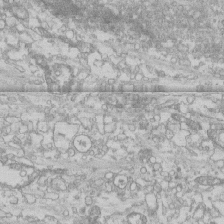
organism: Human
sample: CRL-1474